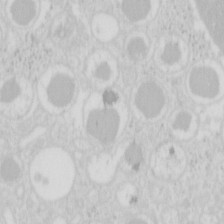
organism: Mouse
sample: Pancreas